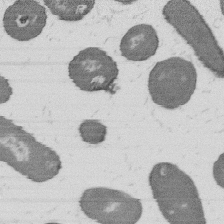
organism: B. subtilis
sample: Bacterial spore